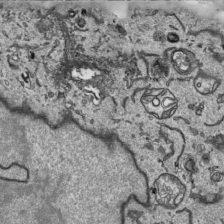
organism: Human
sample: Mitochondria in HCT116 cells